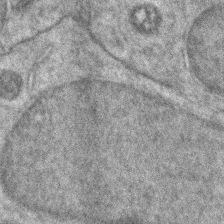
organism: Zebrafish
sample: Zebrafish embryo